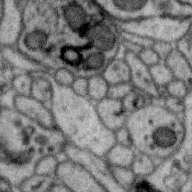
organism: Zebra finch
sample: Brain